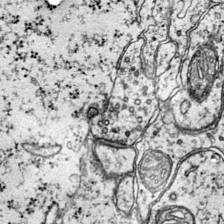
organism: Mouse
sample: Primary visual cortex